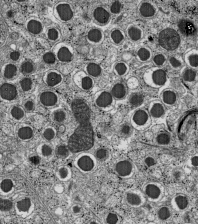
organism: C57BL Mouse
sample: Pancreatic islet